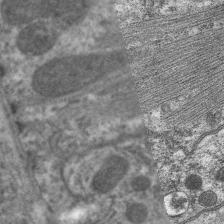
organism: C. elegans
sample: Pharynx